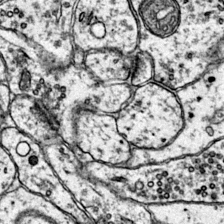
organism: Mouse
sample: Primary visual cortex